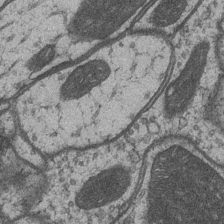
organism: Drosophila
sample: Optic medulla